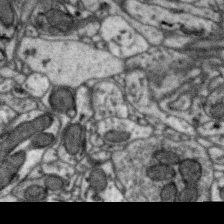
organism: Zebra finch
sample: Brain